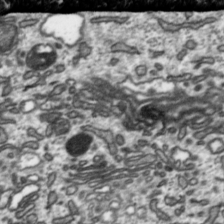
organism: Toxoplasma gondii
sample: Parasites in a vacuole inside a host cell